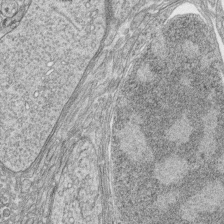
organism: Zebrafish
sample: synaptic ribbons in rod cells and cone cells